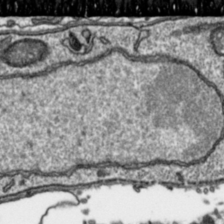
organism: Toxoplasma gondii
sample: Parasites in a vacuole inside a host cell